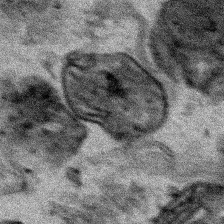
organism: Human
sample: Mitochondria in HCT116 cells